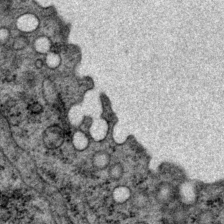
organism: P. pacificus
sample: Pharynx